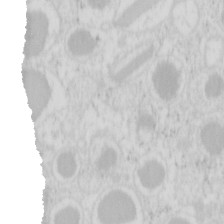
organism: Mouse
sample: Pancreas